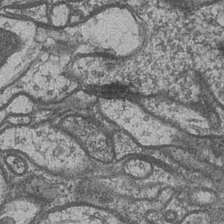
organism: Drosophila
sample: Optic medulla